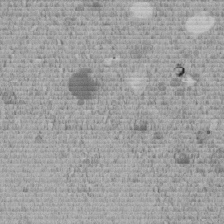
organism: C. elegans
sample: C. elegans embryo early stage